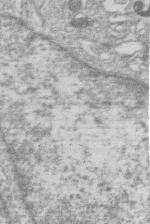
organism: Human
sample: Macrophage cells